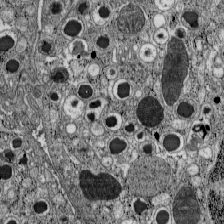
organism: C57BL Mouse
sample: Pancreatic islet